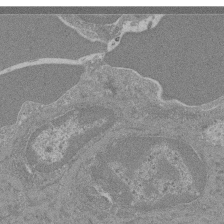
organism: Mouse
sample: Glomerulus